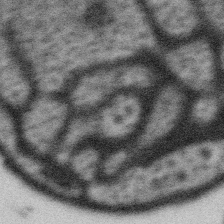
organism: Gemmata obscuriglobus